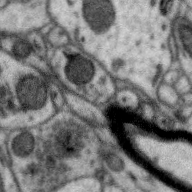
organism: Zebra finch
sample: Brain